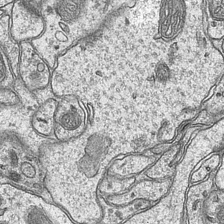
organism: Mouse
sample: CA1 Hippocampus